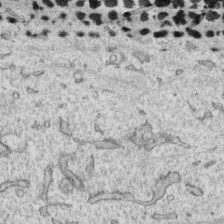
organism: Human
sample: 1205lu cells